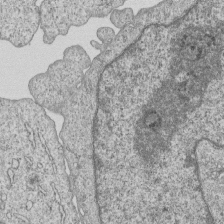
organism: Human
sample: MDA-MB-231 cells